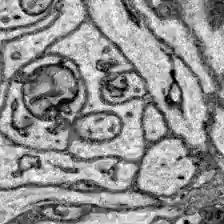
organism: Zebrafish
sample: Brain